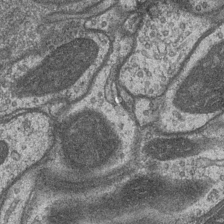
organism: Drosophila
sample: Optic medulla